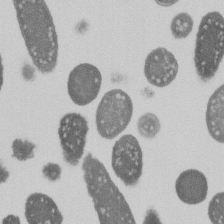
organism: E. coli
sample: Bacterial nucleoid